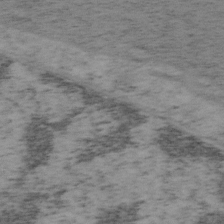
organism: Mouse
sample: OT-I killer T cells with ID8 ovarian cancer cells